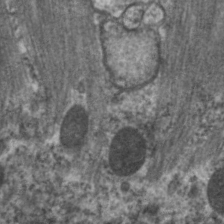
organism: C. elegans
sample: Pharynx